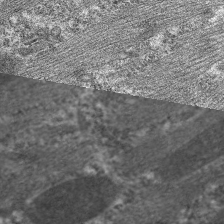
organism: C. elegans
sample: Pharynx